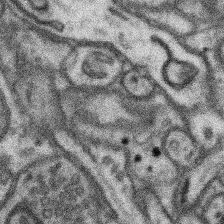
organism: Mouse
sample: Somatosensory cortex neuropil